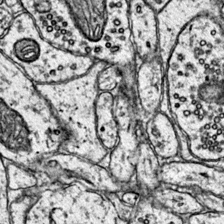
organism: Mouse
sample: Primary visual cortex